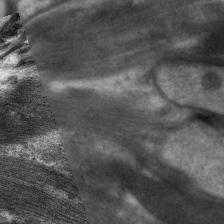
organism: C. elegans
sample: Pharynx